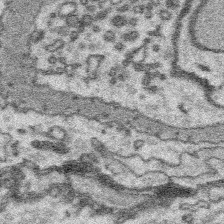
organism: Platynereis dumerilii